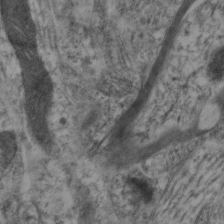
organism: Mouse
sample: Neocortex